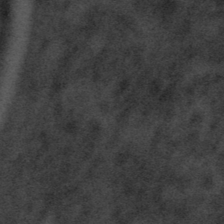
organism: Tuwongella immobilis